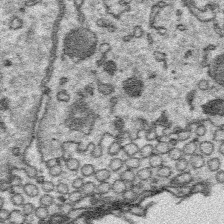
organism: Platynereis dumerilii